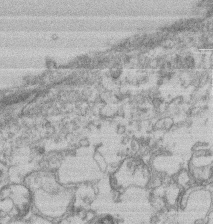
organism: Mouse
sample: T cell stromal cell synapse